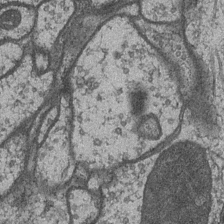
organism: Drosophila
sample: Optic medulla